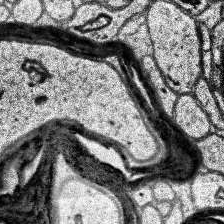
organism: Human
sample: Temporal Lobe